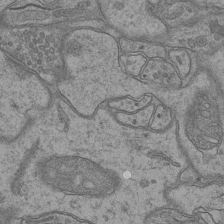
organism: Mouse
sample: CA1 Hippocampus